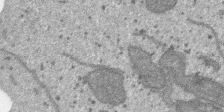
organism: Human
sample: Lung epithelial cells infected with SARS-CoV-2